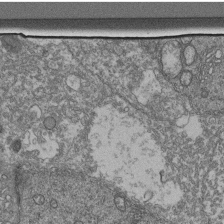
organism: Human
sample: Retinal organoid Rod and Cone cells